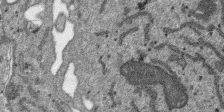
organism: Human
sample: Lung epithelial cells infected with SARS-CoV-2